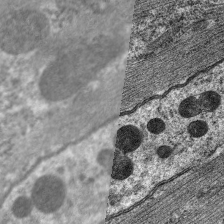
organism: C. elegans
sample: Pharynx